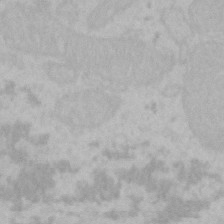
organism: Mouse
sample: Choroid plexus